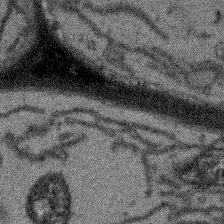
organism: Arabidopsis thaliana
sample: Root tip